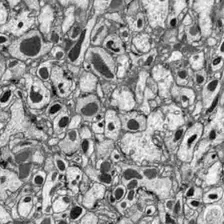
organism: Drosophila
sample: Optic lobe